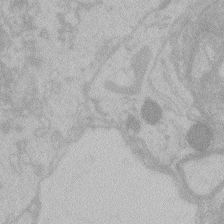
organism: Zebrafish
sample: Macrophage infected with Toxoplasma gondii